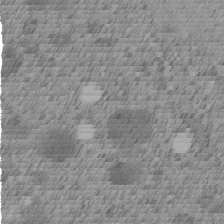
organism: C. elegans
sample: C. elegans embryo early stage